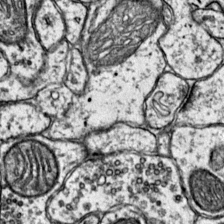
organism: Mouse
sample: Primary visual cortex